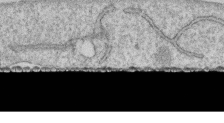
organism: Human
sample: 1205lu cells